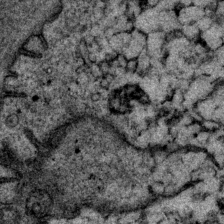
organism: P. pacificus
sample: Pharynx